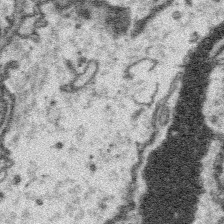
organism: Platynereis dumerilii